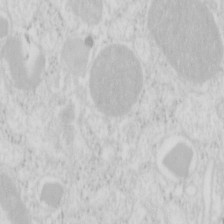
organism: Mouse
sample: Pancreas